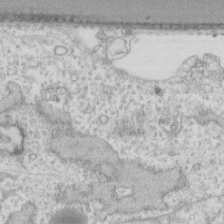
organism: Human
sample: Fibroblast cells